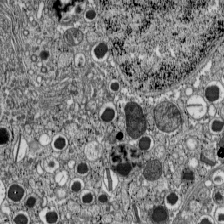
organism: C57BL Mouse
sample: Pancreatic islet